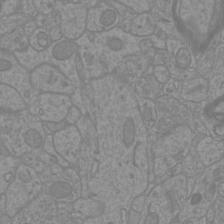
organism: Mouse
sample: Cortical neurons